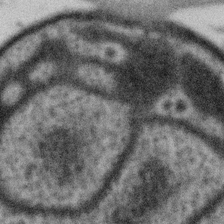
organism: Gemmata obscuriglobus